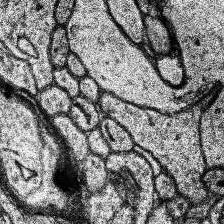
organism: Human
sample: Temporal Lobe